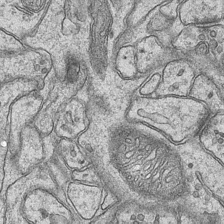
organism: Mouse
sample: CA1 Hippocampus